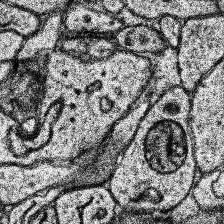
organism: Human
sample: Temporal Lobe